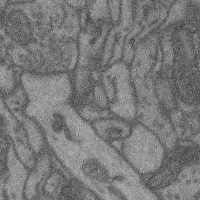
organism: Mouse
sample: Cerebral cortex